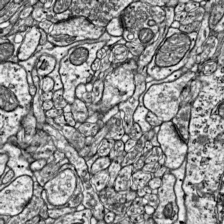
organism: Mouse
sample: Visual Cortex